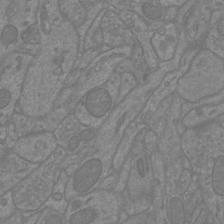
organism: Mouse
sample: Cortical neurons